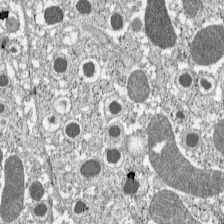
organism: C57BL Mouse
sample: Pancreatic islet